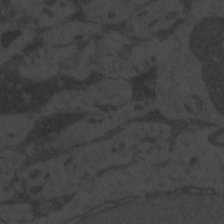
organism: Zebrafish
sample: Macrophage infected with Toxoplasma gondii